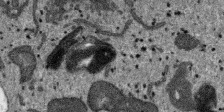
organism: Human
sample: Lung epithelial cells, uninfected (mock) control